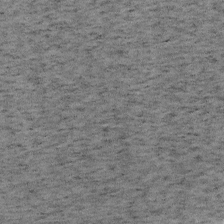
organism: Mouse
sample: OT-I killer T cells with ID8 ovarian cancer cells